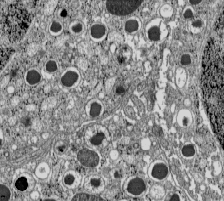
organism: C57BL Mouse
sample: Pancreatic islet